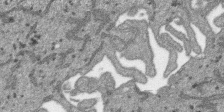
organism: Human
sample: Lung epithelial cells infected with SARS-CoV-2